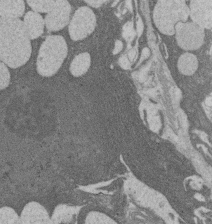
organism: Rat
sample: Salivary granule